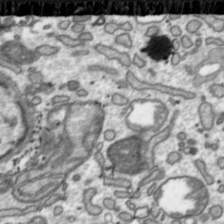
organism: Toxoplasma gondii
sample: Parasites in a vacuole inside a host cell